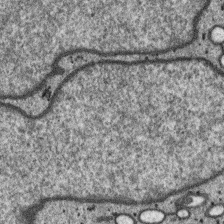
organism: Human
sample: Lung epithelial cells infected with SARS-CoV-2